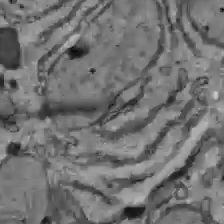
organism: C57BL Mouse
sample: Liver